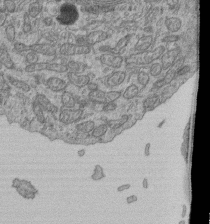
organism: Human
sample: Retinal organoid Rod and Cone cells